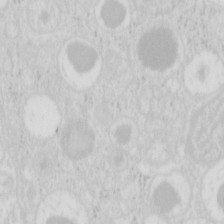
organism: Mouse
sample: Pancreas